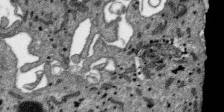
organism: Human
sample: Lung epithelial cells, uninfected (mock) control